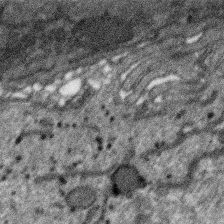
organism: Human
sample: Lung epithelial cells infected with SARS-CoV-2